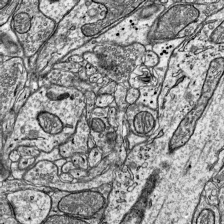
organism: Mouse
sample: Visual Cortex